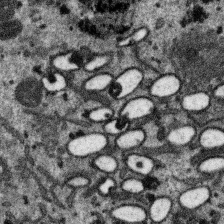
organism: Human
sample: Lung epithelial cells infected with SARS-CoV-2